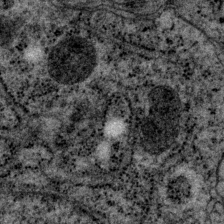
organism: P. pacificus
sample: Pharynx